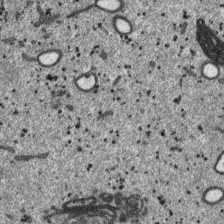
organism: Human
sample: Lung epithelial cells infected with SARS-CoV-2